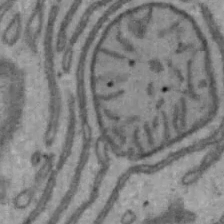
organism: Mouse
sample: Liver